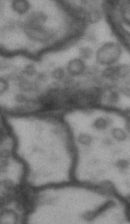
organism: Drosophila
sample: Brain